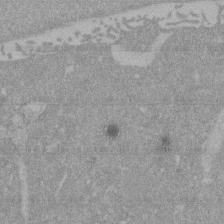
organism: Mouse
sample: ED-1 cell nuclei; centrioles